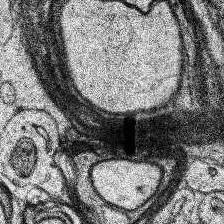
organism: Human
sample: Temporal Lobe